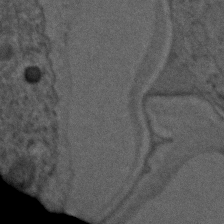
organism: C. elegans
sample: C. elegans embryo